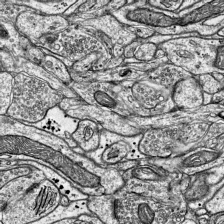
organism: Mouse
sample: Visual Cortex